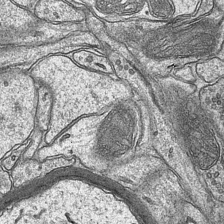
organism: Mouse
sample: CA1 Hippocampus